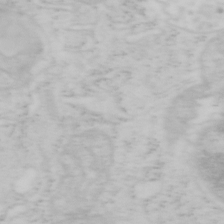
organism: Mouse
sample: OT-I killer T cells with ID8 ovarian cancer cells